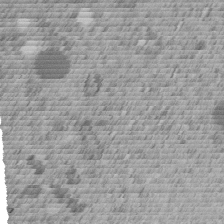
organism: C. elegans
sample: C. elegans embryo early stage